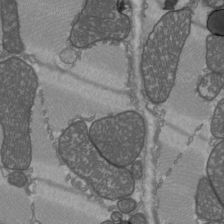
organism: C57BL Mouse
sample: Heart